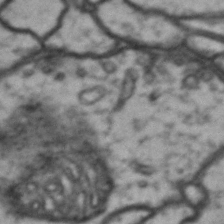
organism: Drosophila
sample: Brain